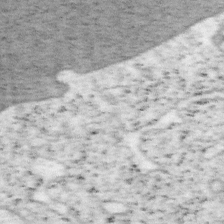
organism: Mouse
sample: OT-I killer T cells with ID8 ovarian cancer cells